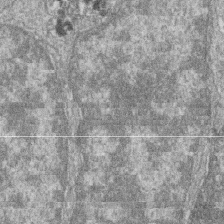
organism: Zebrafish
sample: Cilia; retinal pigment epithelium